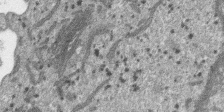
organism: Human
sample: Lung epithelial cells infected with SARS-CoV-2